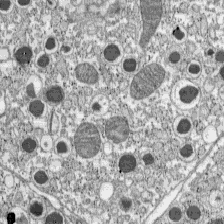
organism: C57BL Mouse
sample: Pancreatic islet